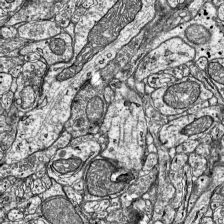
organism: Mouse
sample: Visual Cortex